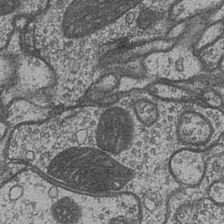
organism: Drosophila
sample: Optic medulla